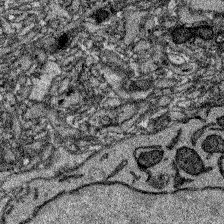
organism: Zebrafish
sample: Larval olfactory bulb